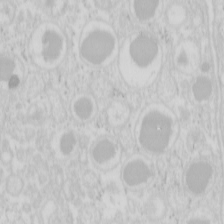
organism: Mouse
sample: Pancreas